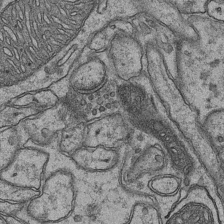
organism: Mouse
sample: CA1 Hippocampus